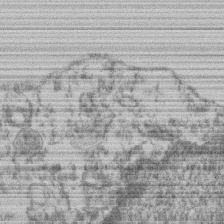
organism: Mouse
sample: T cell stromal cell synapse